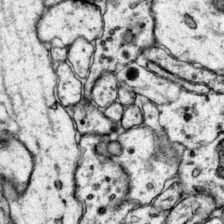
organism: Mouse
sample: Primary visual cortex